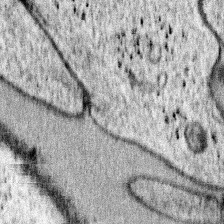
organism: Human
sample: HeLa cells